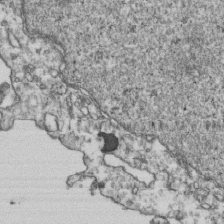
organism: Human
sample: Activated Jurkat CD4+ T cells